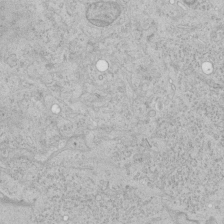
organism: Human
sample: Mitochondria in HCT116 cells